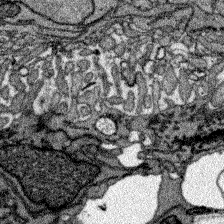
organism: Zebrafish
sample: Larval olfactory bulb